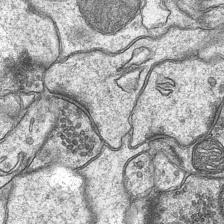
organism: Mouse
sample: CA1 Hippocampus